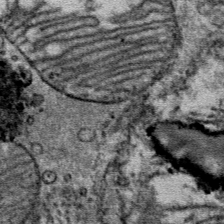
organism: Mouse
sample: Mouse Salivary gland